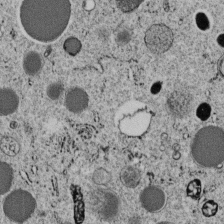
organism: C. elegans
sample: C. elegans embryo early stage